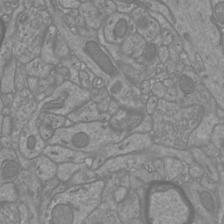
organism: Mouse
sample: Cortical neurons